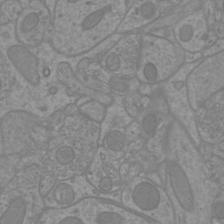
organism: Mouse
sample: Cortical neurons